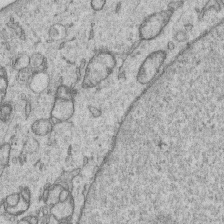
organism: Human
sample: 1205lu cells